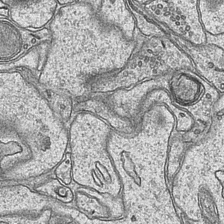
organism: Mouse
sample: CA1 Hippocampus